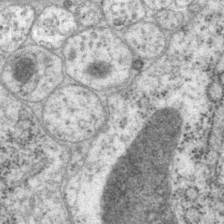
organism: P. pacificus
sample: Pharynx